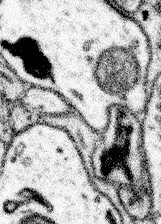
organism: Mouse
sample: Somatosensory cortex neuropil